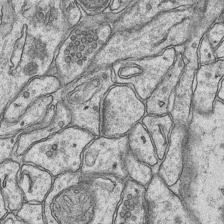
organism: Mouse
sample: CA1 Hippocampus